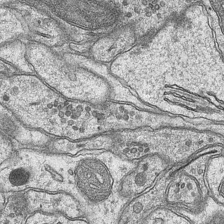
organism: Mouse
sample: CA1 Hippocampus